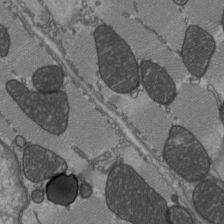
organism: C57BL Mouse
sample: Heart